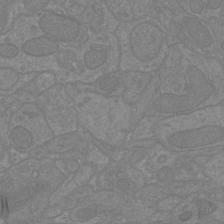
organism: Mouse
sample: Cortical neurons